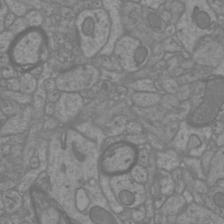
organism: Mouse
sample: Cortical neurons